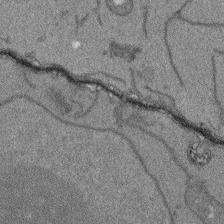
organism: Arabidopsis thaliana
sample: Root tip